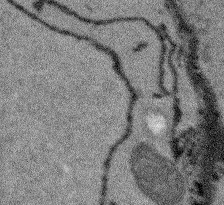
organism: Arabidopsis thaliana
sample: Root tip